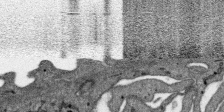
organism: Human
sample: Lung epithelial cells, uninfected (mock) control